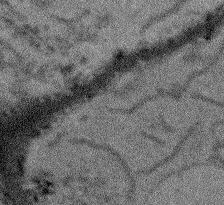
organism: Arabidopsis thaliana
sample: Root tip